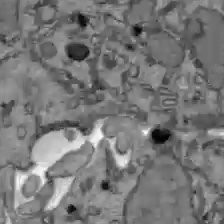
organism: C57BL Mouse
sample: Liver